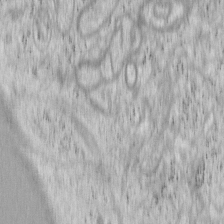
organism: Human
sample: HeLa cells